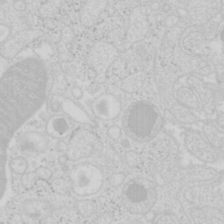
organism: Mouse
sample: Pancreas